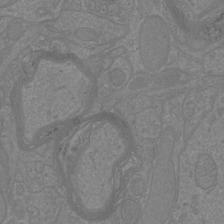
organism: Mouse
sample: Cortical neurons